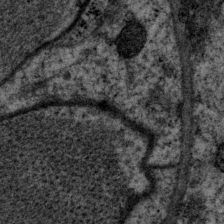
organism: P. pacificus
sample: Pharynx